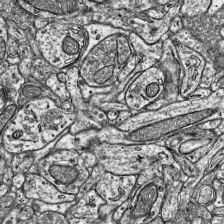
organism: Mouse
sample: Visual Cortex